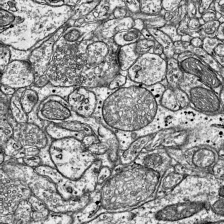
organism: Mouse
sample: Visual Cortex